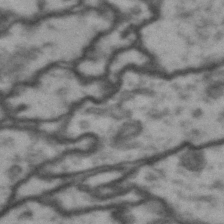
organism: Drosophila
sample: Brain